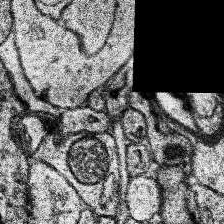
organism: Human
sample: Temporal Lobe